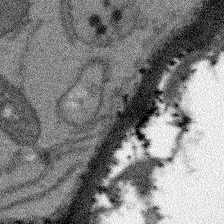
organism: Arabidopsis thaliana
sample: Root tip